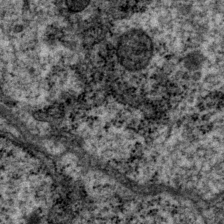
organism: P. pacificus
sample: Pharynx